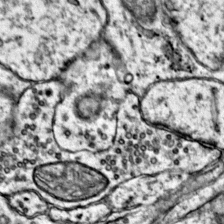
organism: Mouse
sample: Primary visual cortex